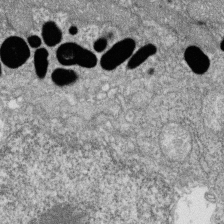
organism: Zebrafish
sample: Cilia; retinal pigment epithelium